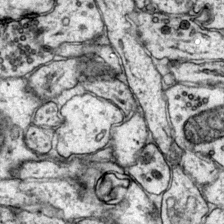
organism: Mouse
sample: Primary visual cortex